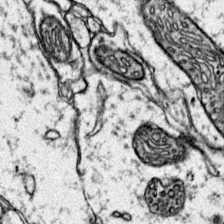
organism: Mouse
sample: Primary visual cortex